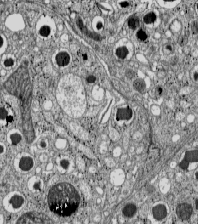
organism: C57BL Mouse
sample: Pancreatic islet